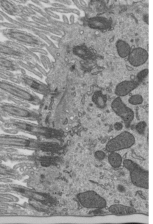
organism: Mouse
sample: Mouse epididymis efferent ductule cilia